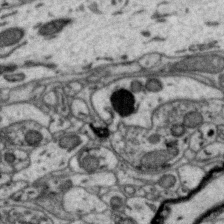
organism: Zebra finch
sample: Brain